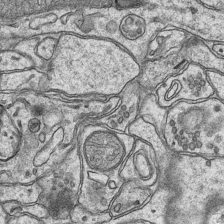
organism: Mouse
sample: CA1 Hippocampus